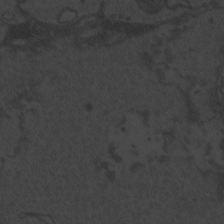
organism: Zebrafish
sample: Macrophage infected with Toxoplasma gondii